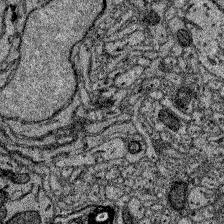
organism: Zebrafish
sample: Larval olfactory bulb